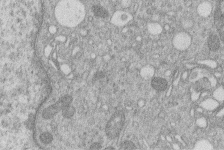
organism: Human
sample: Macrophage cells